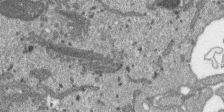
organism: Human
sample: Lung epithelial cells infected with SARS-CoV-2